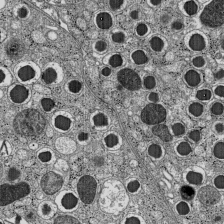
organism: C57BL Mouse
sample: Pancreatic islet